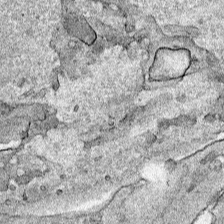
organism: Human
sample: Mitochondria in HCT116 cells